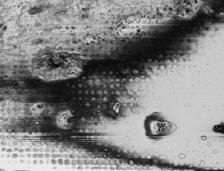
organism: Human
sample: Mitochondria in HCT116 cells